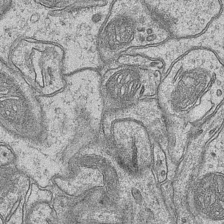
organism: Mouse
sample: CA1 Hippocampus